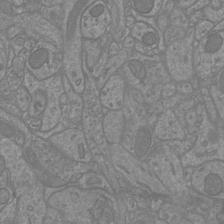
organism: Mouse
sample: Cortical neurons